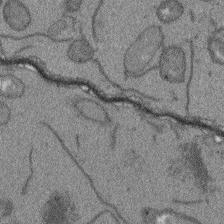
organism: Arabidopsis thaliana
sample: Root tip